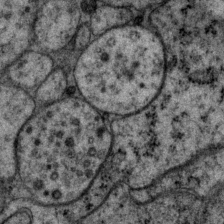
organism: P. pacificus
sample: Pharynx